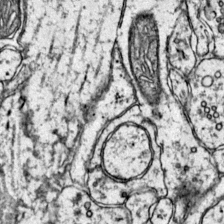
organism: Mouse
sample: Primary visual cortex